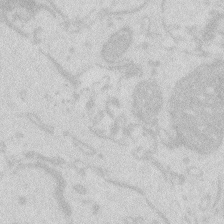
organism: Zebrafish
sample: Macrophage